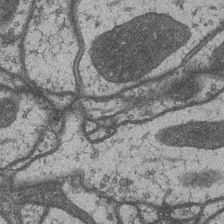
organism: Drosophila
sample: Optic medulla